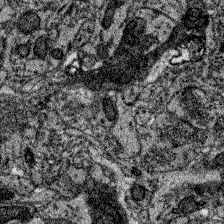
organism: Zebrafish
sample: Larval olfactory bulb